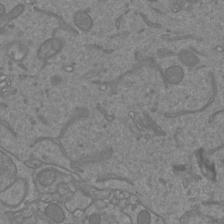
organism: Mouse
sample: Cortical neurons